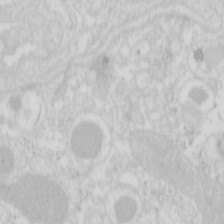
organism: Mouse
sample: Pancreas